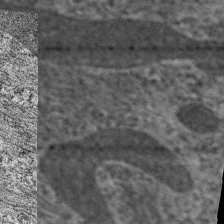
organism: C. elegans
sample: Pharynx